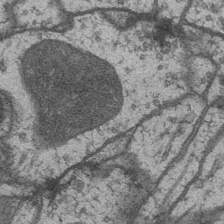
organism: Drosophila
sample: Optic medulla